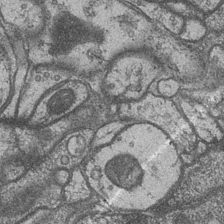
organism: Drosophila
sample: Optic medulla